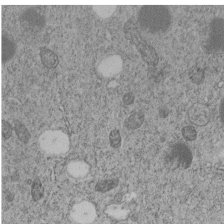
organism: C. elegans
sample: C. elegans embryo early stage